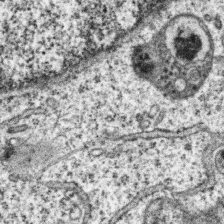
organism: Human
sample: HeLa cells